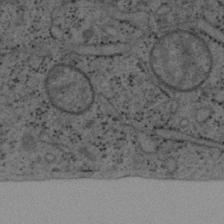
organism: Human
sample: HeLa cells